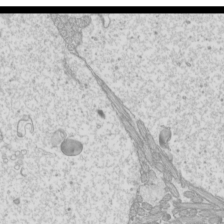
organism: Mouse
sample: Cilia; mouse epididymis